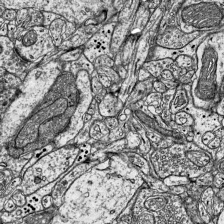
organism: Mouse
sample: Visual Cortex